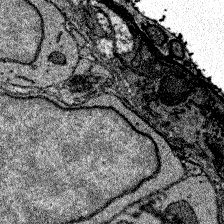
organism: Zebrafish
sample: Larval olfactory bulb